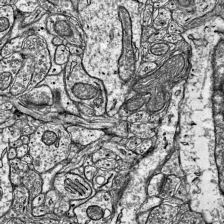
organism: Mouse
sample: Visual Cortex